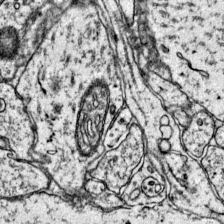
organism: Mouse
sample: Primary visual cortex